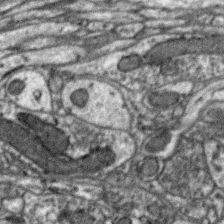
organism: Zebra finch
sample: Brain